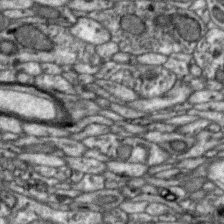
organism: Zebra finch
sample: Brain